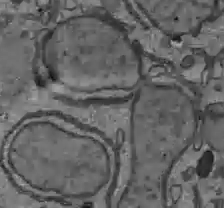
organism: C57BL Mouse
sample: Liver